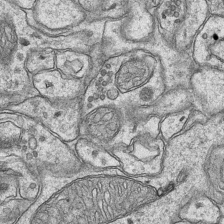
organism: Mouse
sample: CA1 Hippocampus